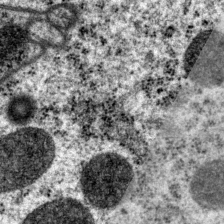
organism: P. pacificus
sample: Pharynx